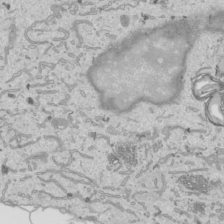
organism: Human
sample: Mitochondria in HCT116 cells